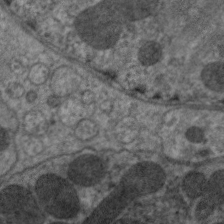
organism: C. elegans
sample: Pharynx